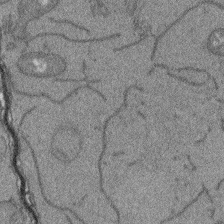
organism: Arabidopsis thaliana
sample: Root tip